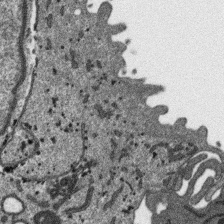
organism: Human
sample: Lung epithelial cells infected with SARS-CoV-2